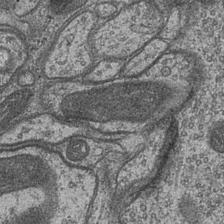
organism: Drosophila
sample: Optic medulla